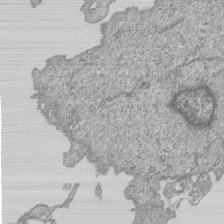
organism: Human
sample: MDA-MB-231 cells